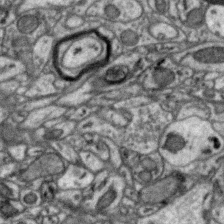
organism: Zebra finch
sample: Brain